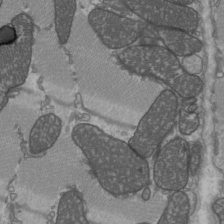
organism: C57BL Mouse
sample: Heart